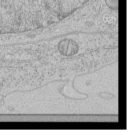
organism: Human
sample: Mitochondria in HCT116 cells